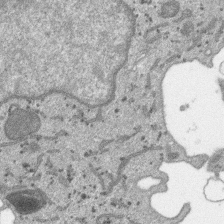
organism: Human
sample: Lung epithelial cells infected with SARS-CoV-2